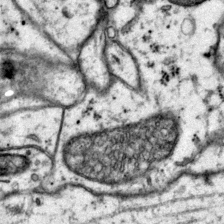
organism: Mouse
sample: Primary visual cortex